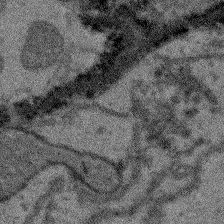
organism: Arabidopsis thaliana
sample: Root tip